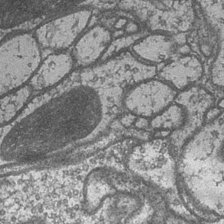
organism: Drosophila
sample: Optic medulla